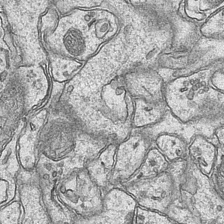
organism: Mouse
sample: CA1 Hippocampus